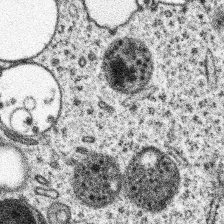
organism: Human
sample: HeLa cells